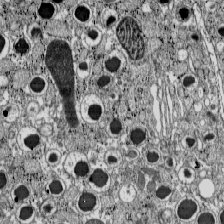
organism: C57BL Mouse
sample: Pancreatic islet